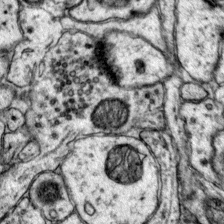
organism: Mouse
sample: Primary visual cortex